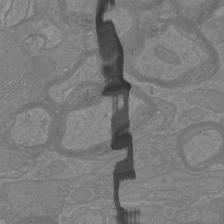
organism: Mouse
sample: Cortical neurons